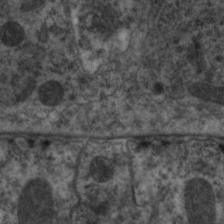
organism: C. elegans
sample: Pharynx